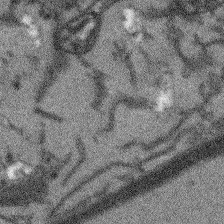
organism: Arabidopsis thaliana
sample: Root tip